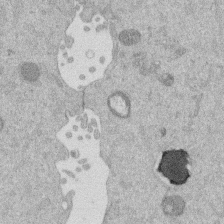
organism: Mouse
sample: Dividing mouse embryo 1 cell stage